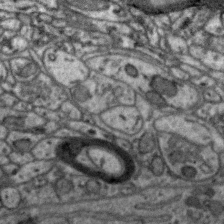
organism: Zebra finch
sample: Brain